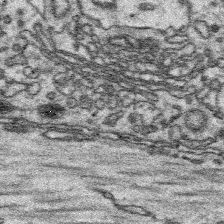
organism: Platynereis dumerilii